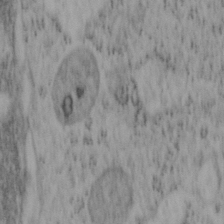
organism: Mouse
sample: OT-I killer T cells with ID8 ovarian cancer cells